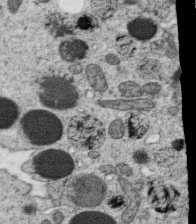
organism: C. elegans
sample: C. elegans oocyte; sperm cells